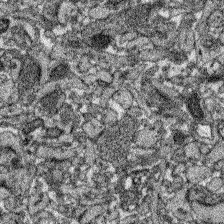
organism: Zebrafish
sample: Larval olfactory bulb